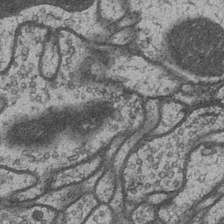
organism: Drosophila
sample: Optic medulla